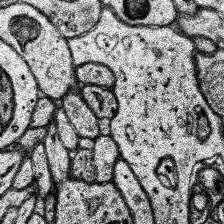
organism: Human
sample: Temporal Lobe